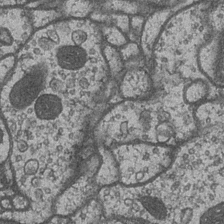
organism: Drosophila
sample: Optic medulla